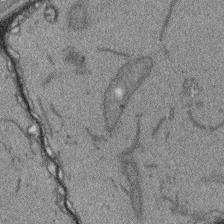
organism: Arabidopsis thaliana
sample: Root tip